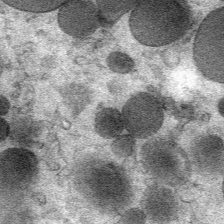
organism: Mouse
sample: Mouse Salivary gland